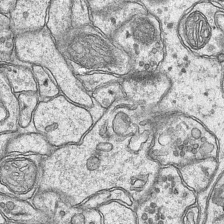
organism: Mouse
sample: CA1 Hippocampus